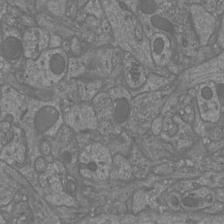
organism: Mouse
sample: Cortical neurons